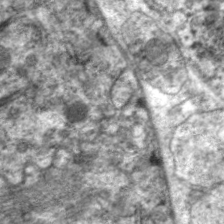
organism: C. elegans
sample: Pharynx